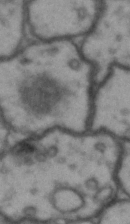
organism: Drosophila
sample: Brain